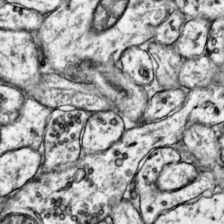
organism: Mouse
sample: Primary visual cortex